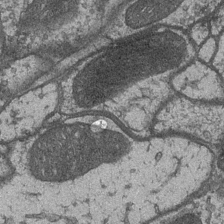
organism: Drosophila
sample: Optic medulla